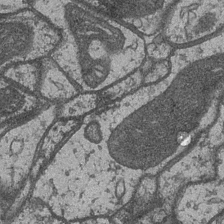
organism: Drosophila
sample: Optic medulla